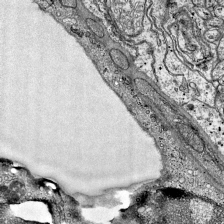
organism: Mouse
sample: Visual Cortex